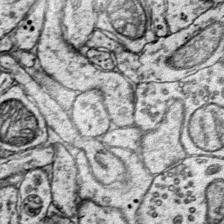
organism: Mouse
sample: Primary visual cortex